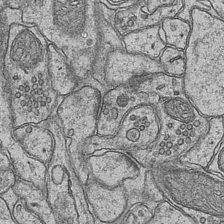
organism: Mouse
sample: CA1 Hippocampus